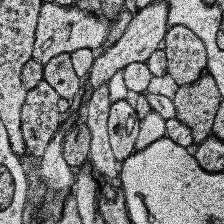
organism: Human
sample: Temporal Lobe